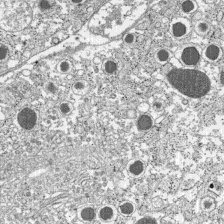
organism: C57BL Mouse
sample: Pancreatic islet